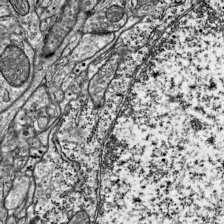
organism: Mouse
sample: Visual Cortex